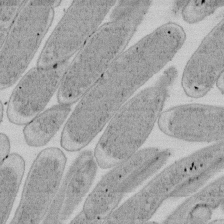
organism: E. coli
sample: Bacterial nucleoid